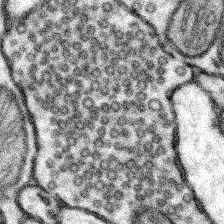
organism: Mouse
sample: Somatosensory cortex neuropil